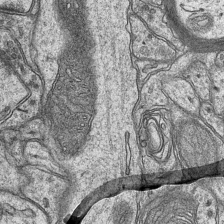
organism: Mouse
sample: CA1 Hippocampus